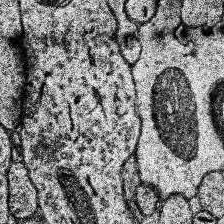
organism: Human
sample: Temporal Lobe